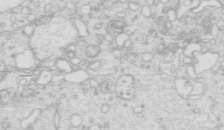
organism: Mouse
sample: Multiciliated cells